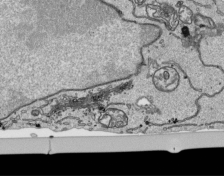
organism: Human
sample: Mitochondria in HCT116 cells